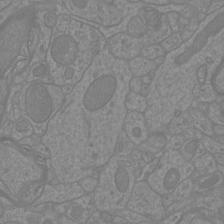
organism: Mouse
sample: Cortical neurons